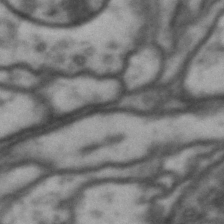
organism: Drosophila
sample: Brain